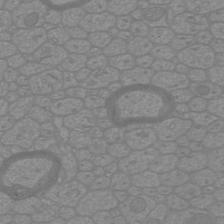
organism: Mouse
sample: Cortical neurons